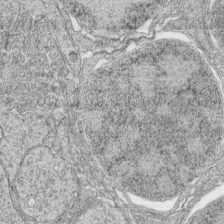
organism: Zebrafish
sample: synaptic ribbons in rod cells and cone cells